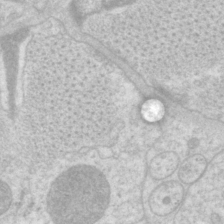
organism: P. pacificus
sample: Pharynx